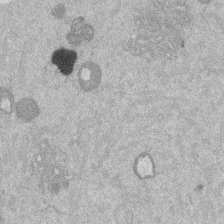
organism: Mouse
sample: Dividing mouse embryo 1 cell stage